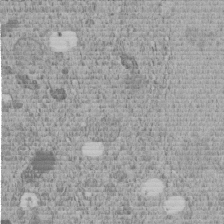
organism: C. elegans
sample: C. elegans embryo early stage